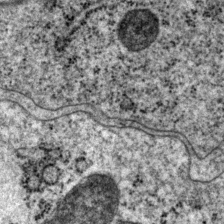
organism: P. pacificus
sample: Pharynx